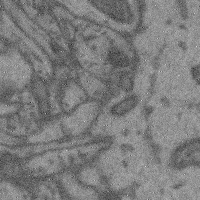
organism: Mouse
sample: Cerebral cortex